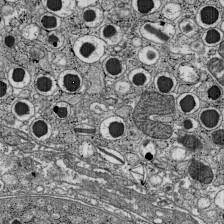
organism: C57BL Mouse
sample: Pancreatic islet